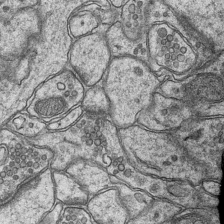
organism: Mouse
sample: CA1 Hippocampus